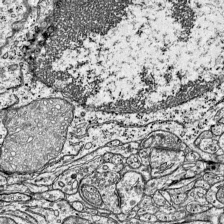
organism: Mouse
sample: Visual Cortex